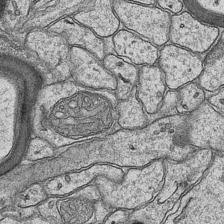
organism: Mouse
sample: CA1 Hippocampus